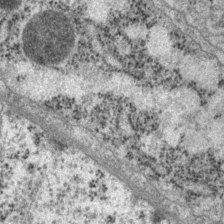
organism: P. pacificus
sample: Pharynx